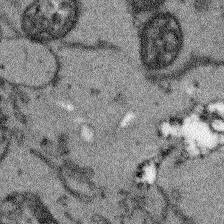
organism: Arabidopsis thaliana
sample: Root tip